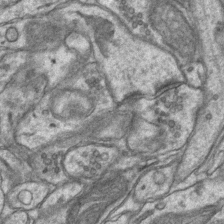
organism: Mouse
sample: CA1 Hippocampus